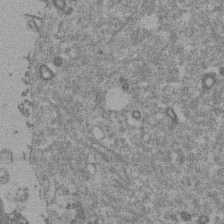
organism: Mouse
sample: Dividing mouse embryo 1 cell stage